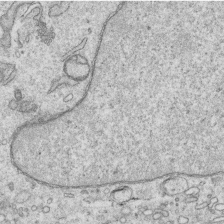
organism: Human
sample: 1205lu cells